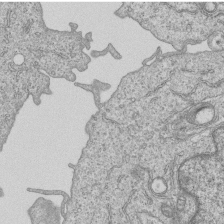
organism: Human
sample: MDA-MB-231 cells